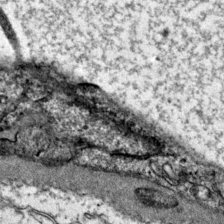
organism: Mouse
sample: Primary visual cortex